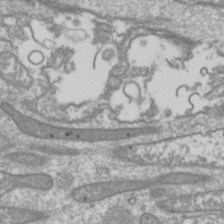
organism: Drosophila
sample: Cell division; meiosis; drosophila spermatocytes